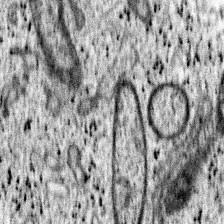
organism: Human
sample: HeLa cells